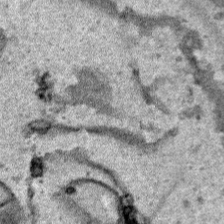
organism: Human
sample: Mitochondria in HCT116 cells